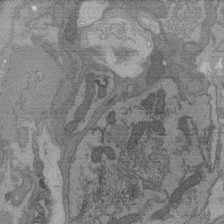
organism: C. elegans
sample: AFD neurons C. elegans